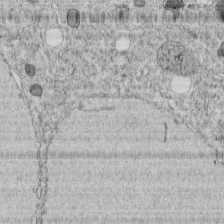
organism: C. elegans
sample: C. elegans embryo early stage